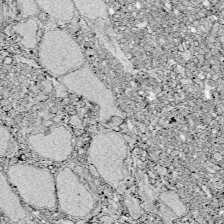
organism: Zebrafish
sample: Whole-Brain